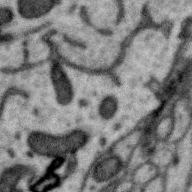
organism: Zebra finch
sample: Brain